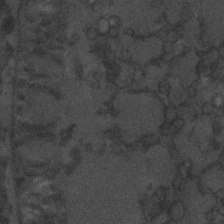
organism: C. elegans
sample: C. elegans embryo